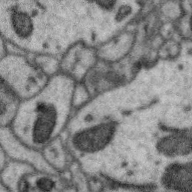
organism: Zebra finch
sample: Brain